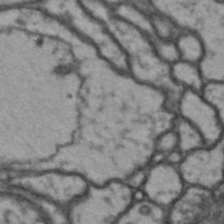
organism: Drosophila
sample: Brain